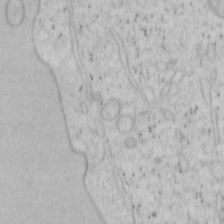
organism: Human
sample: HeLa cells